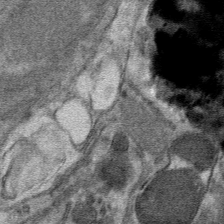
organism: Mouse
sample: Mouse hepatocytes